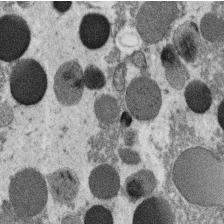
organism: C. elegans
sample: C. elegans oocyte; sperm cells